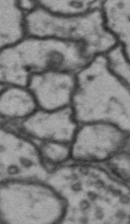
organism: Drosophila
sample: Brain